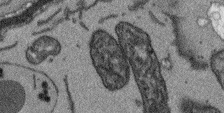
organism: Arabidopsis thaliana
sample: Root tip